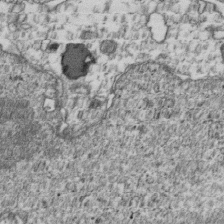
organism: Human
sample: Activated Jurkat CD4+ T cells